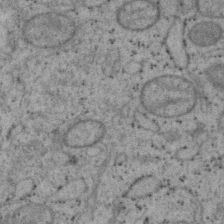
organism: Human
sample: HeLa cells